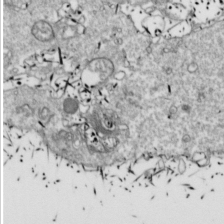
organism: Drosophila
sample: Cell division; meiosis; drosophila spermatocytes